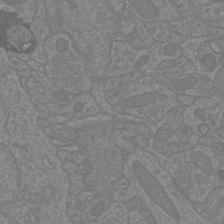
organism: Mouse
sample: Cortical neurons